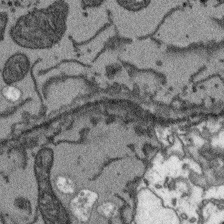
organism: Arabidopsis thaliana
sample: Root tip